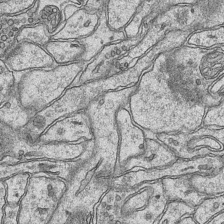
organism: Mouse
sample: CA1 Hippocampus